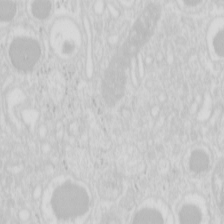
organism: Mouse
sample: Pancreas